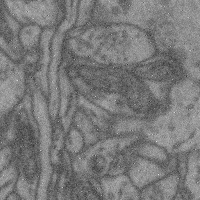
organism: Mouse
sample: Cerebral cortex